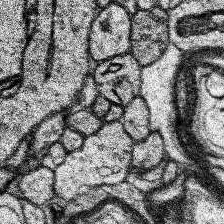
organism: Human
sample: Temporal Lobe